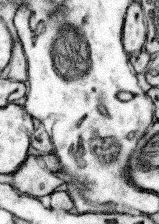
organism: Mouse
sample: Somatosensory cortex neuropil